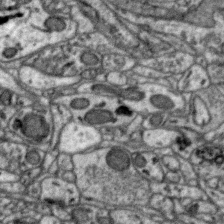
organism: Zebra finch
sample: Brain